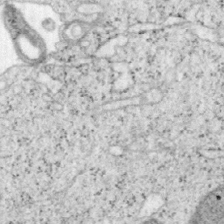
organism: Mouse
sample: OT-I killer T cells with ID8 ovarian cancer cells